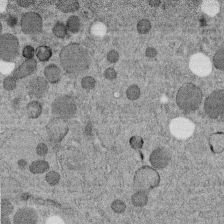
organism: C. elegans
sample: C. elegans embryo early stage